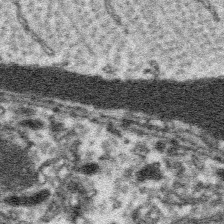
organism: Platynereis dumerilii